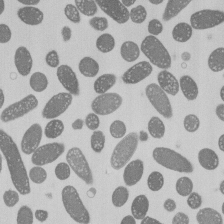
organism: E. coli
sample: Bacterial nucleoid